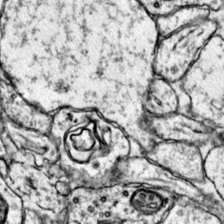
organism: Mouse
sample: Primary visual cortex